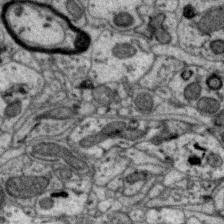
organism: Zebra finch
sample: Brain